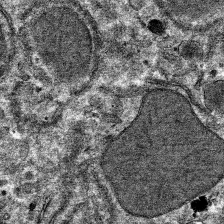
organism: Mouse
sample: Mouse hepatocytes